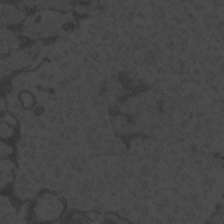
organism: Zebrafish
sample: Macrophage infected with Toxoplasma gondii